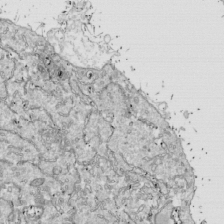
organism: Drosophila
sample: Cell division; meiosis; drosophila spermatocytes